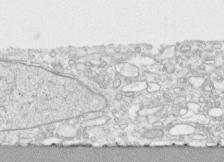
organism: Human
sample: CRL-1474